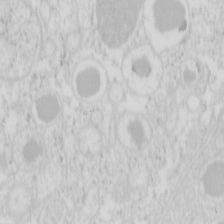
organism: Mouse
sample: Pancreas